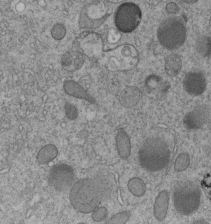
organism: C. elegans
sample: C. elegans embryo early stage